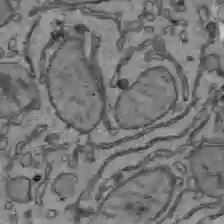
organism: C57BL Mouse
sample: Liver